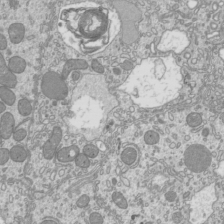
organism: Mouse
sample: Cilia; mouse epididymis